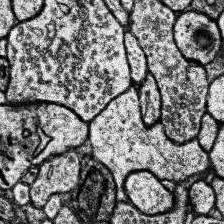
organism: Human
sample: Temporal Lobe